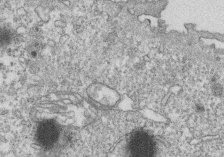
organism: Human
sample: HeLa cell HIV synapse